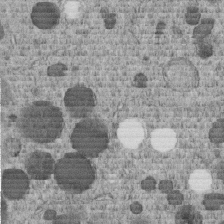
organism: C. elegans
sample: C. elegans embryo early stage